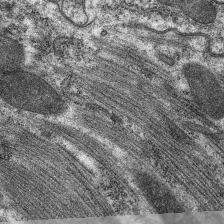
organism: C. elegans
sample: Pharynx